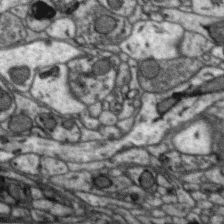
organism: Zebra finch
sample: Brain